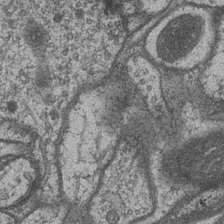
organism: Drosophila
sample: Optic medulla